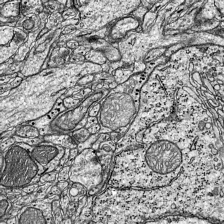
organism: Mouse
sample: Visual Cortex